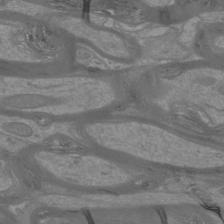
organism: Mouse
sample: Cortical neurons